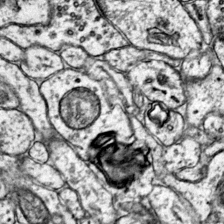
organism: Mouse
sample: Primary visual cortex